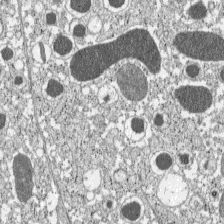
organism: C57BL Mouse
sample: Pancreatic islet